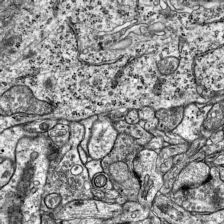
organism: Mouse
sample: Visual Cortex